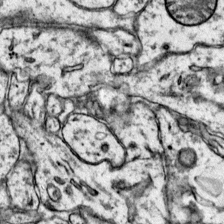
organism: Mouse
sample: Primary visual cortex